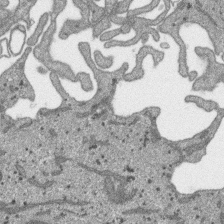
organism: Human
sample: Lung epithelial cells infected with SARS-CoV-2